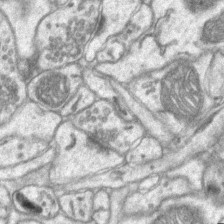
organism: Mouse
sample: CA1 Hippocampus